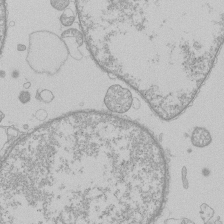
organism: Human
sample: Macrophage cells